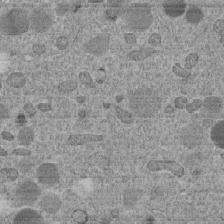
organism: C. elegans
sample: C. elegans embryo early stage